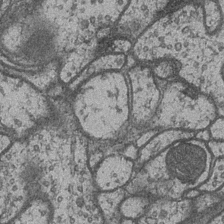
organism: Drosophila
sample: Optic medulla